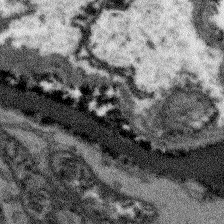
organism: Arabidopsis thaliana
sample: Root tip